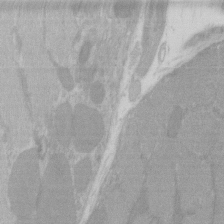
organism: C57BL Mouse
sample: Tibialis anterior muscle cell